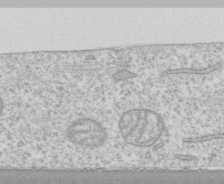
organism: Human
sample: CRL-1474